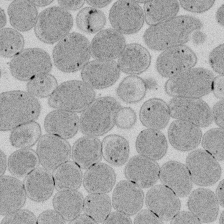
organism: E. coli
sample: Bacterial nucleoid